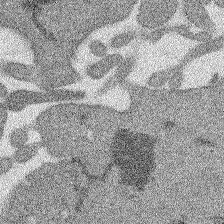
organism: Human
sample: HeLa cells